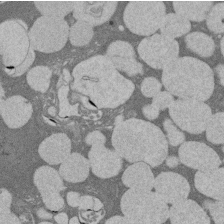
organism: Rat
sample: Salivary granule